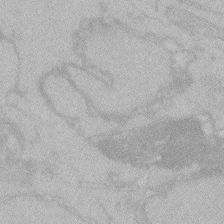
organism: Zebrafish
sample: Macrophage infected with Toxoplasma gondii